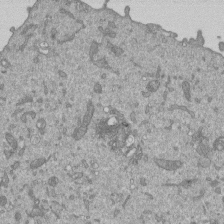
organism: Mouse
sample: ED-1 cell nuclei; centrioles